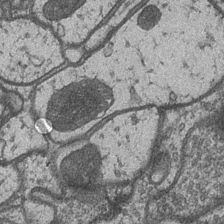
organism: Drosophila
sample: Optic medulla